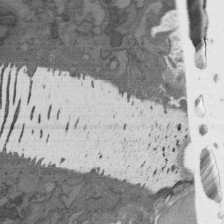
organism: C. elegans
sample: AFD neurons C. elegans